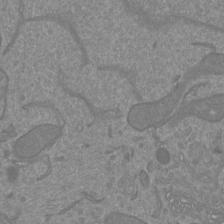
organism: Mouse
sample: Cortical neurons